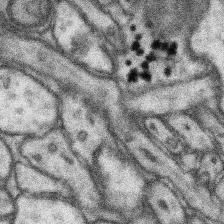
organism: Mouse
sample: Somatosensory cortex neuropil